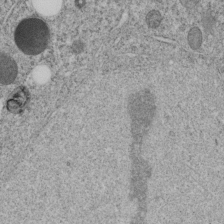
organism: C. elegans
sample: C. elegans embryo early stage